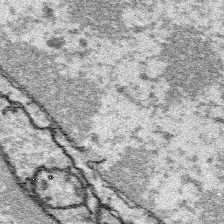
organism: Platynereis dumerilii